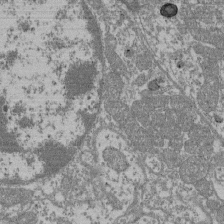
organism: Mouse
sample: Glomerulus